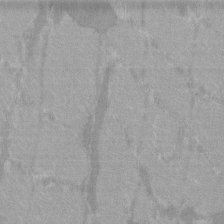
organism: C57BL Mouse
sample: Tibialis anterior muscle cell